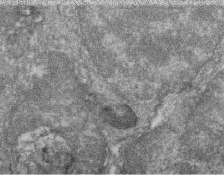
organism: Zebrafish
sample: Cilia; retinal pigment epithelium